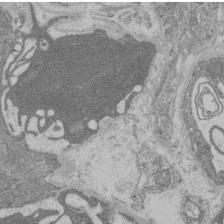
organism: Rat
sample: Salivary granule